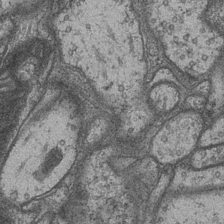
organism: Drosophila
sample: Optic medulla